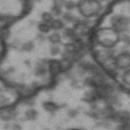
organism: Drosophila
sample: Brain